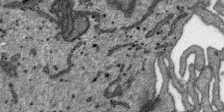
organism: Human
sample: Lung epithelial cells, uninfected (mock) control